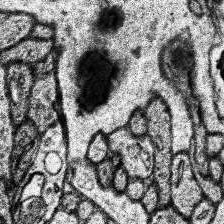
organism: Human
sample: Temporal Lobe